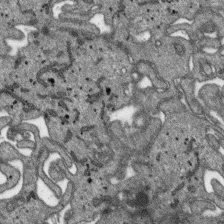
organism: Human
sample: Lung epithelial cells, uninfected (mock) control